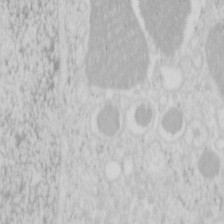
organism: Mouse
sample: Pancreas